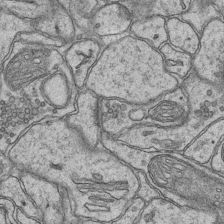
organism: Mouse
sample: CA1 Hippocampus